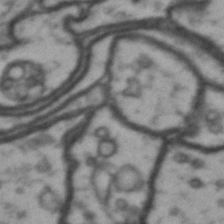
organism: Drosophila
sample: Brain